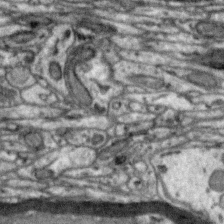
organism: Zebra finch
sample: Brain